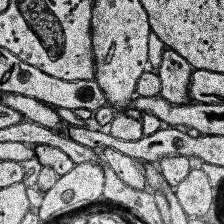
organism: Human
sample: Temporal Lobe